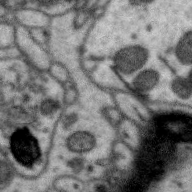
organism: Zebra finch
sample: Brain